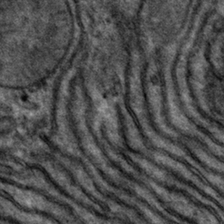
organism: Mouse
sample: Mouse hepatocytes